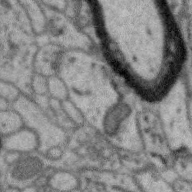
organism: Zebra finch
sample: Brain